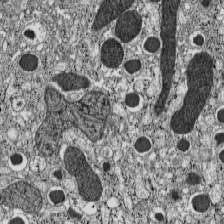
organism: C57BL Mouse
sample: Pancreatic islet